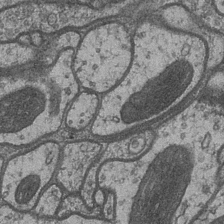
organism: Drosophila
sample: Optic medulla